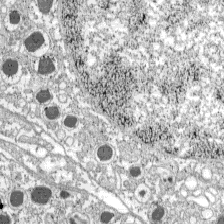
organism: C57BL Mouse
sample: Pancreatic islet